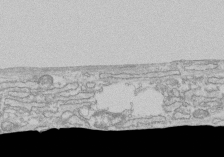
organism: Human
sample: CRL-1474